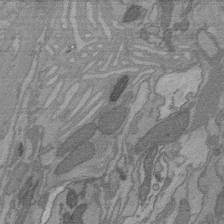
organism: C. elegans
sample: AFD neurons C. elegans